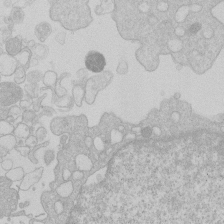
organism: Human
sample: Macrophage cells